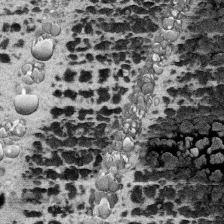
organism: Human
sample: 1205lu cells